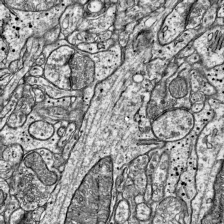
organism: Mouse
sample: Visual Cortex